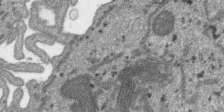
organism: Human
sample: Lung epithelial cells infected with SARS-CoV-2